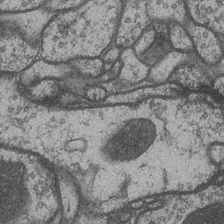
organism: Drosophila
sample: Optic medulla